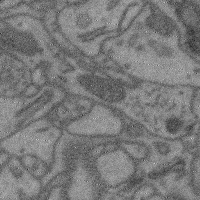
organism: Mouse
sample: Cerebral cortex